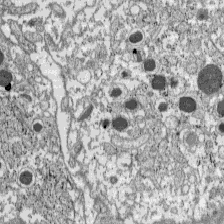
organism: C57BL Mouse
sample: Pancreatic islet